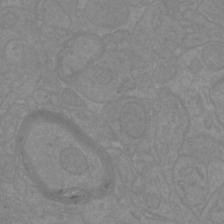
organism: Mouse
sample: Cortical neurons